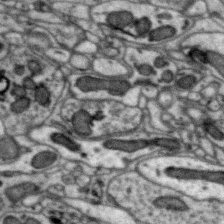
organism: Zebra finch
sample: Brain